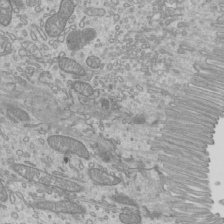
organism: Mouse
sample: Cilia; mouse epididymis